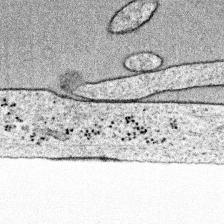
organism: Human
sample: HeLa cells